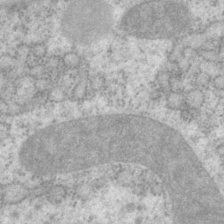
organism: P. pacificus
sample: Pharynx